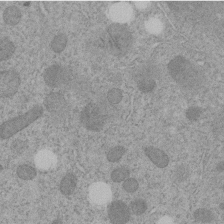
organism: C. elegans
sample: C. elegans embryo early stage